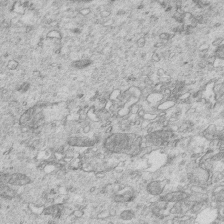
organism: Mouse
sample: Multiciliated cells